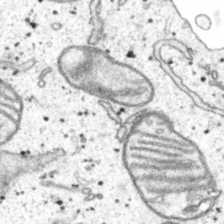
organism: Human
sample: HeLa cells